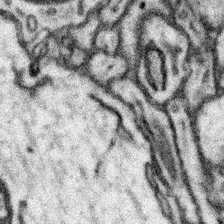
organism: Mouse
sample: Somatosensory cortex neuropil